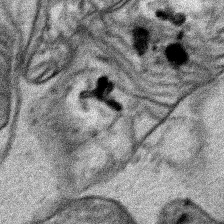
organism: Human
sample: Mitochondria in HCT116 cells